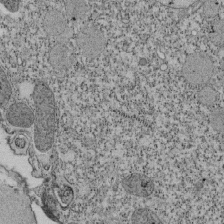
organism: Tetrahymena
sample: Cilia in tetrahymena